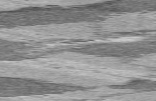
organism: C57BL Mouse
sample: Heart